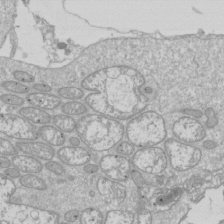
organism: Drosophila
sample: Cell division; meiosis; drosophila spermatocytes